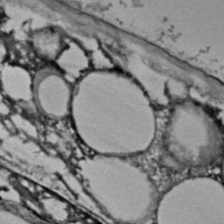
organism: C. elegans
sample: C. elegans embryo